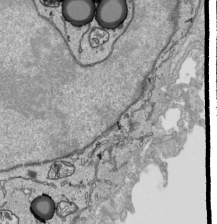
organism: Human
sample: Mitochondria in HCT116 cells